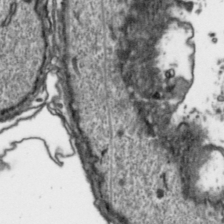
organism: Toxoplasma gondii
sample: Parasites in a vacuole inside a host cell